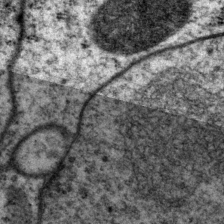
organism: P. pacificus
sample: Pharynx